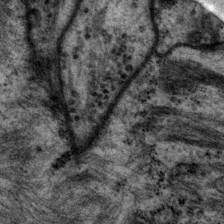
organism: P. pacificus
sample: Pharynx